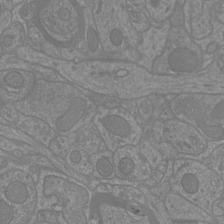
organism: Mouse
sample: Cortical neurons